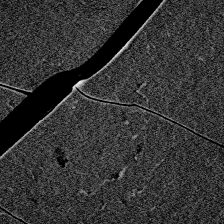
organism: Zebrafish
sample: Whole-Brain